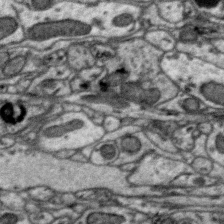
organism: Zebra finch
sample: Brain